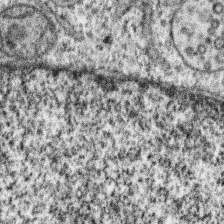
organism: Human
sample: HeLa cells